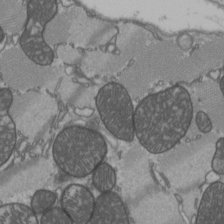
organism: C57BL Mouse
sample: Heart